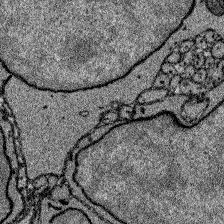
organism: Zebrafish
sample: Larval olfactory bulb